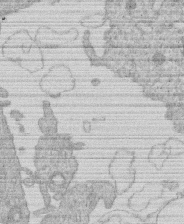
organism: Human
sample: Macrophage cells